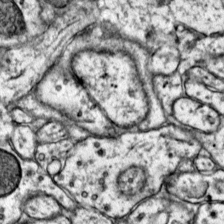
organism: Mouse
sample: Primary visual cortex